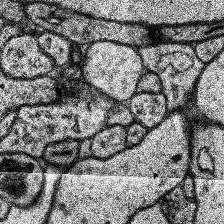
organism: Human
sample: Temporal Lobe